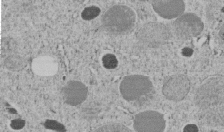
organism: C. elegans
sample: C. elegans embryo early stage